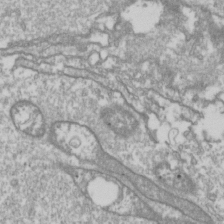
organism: Drosophila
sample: Cell division; meiosis; drosophila spermatocytes